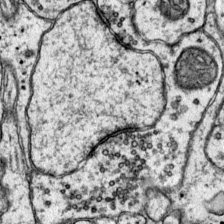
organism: Mouse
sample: Primary visual cortex